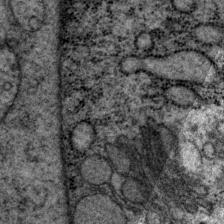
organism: P. pacificus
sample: Pharynx